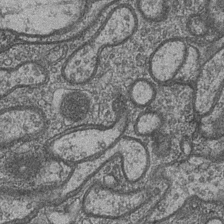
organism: Drosophila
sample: Optic medulla